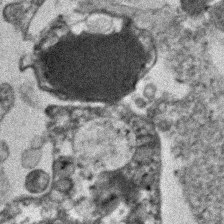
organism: Human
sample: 1205lu cells